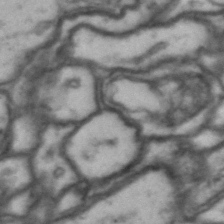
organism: Drosophila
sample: Brain